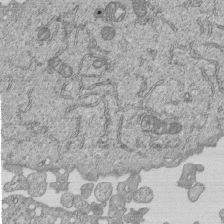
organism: Human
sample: MDA-MB-231 cells